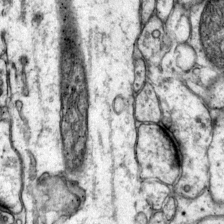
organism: Mouse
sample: Primary visual cortex